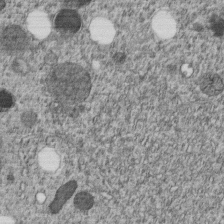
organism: C. elegans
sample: C. elegans embryo early stage